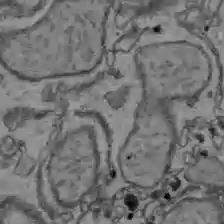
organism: C57BL Mouse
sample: Liver